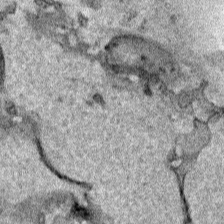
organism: Human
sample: Mitochondria in HCT116 cells